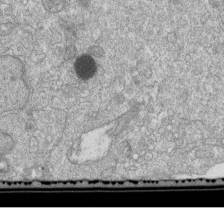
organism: Human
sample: HeLa cell HIV synapse